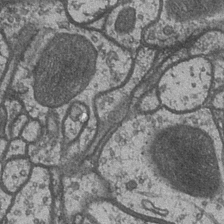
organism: Drosophila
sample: Optic medulla